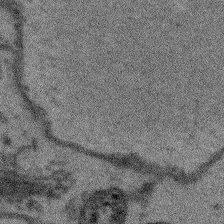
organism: Arabidopsis thaliana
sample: Root tip